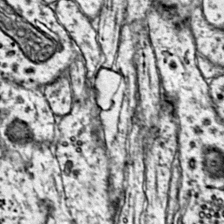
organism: Mouse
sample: Primary visual cortex